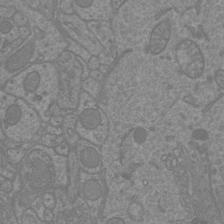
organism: Mouse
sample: Cortical neurons